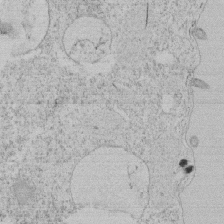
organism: Tetrahymena